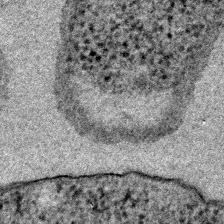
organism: E. coli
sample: E. Coli Bacteria